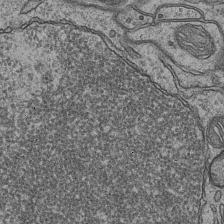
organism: Mouse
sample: CA1 Hippocampus